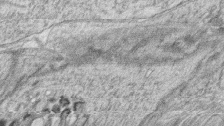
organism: Zebrafish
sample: synaptic ribbons in rod cells and cone cells